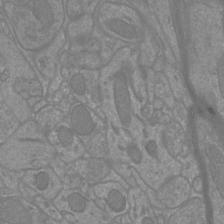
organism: Mouse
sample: Cortical neurons